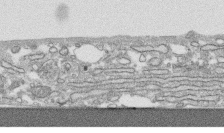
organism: Human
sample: CRL-1474